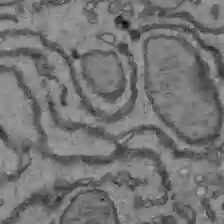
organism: C57BL Mouse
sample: Liver